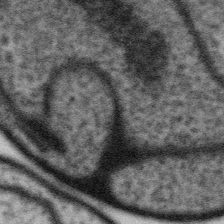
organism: Gemmata obscuriglobus